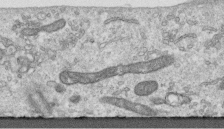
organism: Human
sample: Centriole in RPE cells